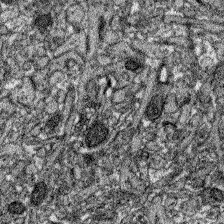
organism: Zebrafish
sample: Larval olfactory bulb